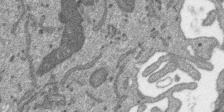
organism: Human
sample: Lung epithelial cells infected with SARS-CoV-2